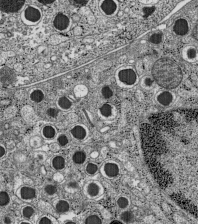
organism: C57BL Mouse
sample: Pancreatic islet